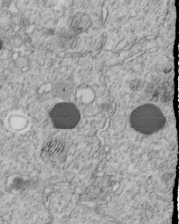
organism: C. elegans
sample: C. elegans embryo early stage